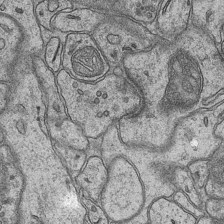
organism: Mouse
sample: CA1 Hippocampus